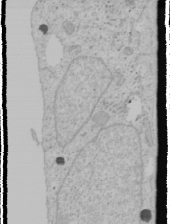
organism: Human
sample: Mitochondria in U2OS cells